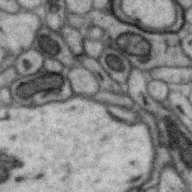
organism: Zebra finch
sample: Brain